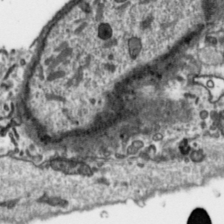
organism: Toxoplasma gondii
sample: Parasites in a vacuole inside a host cell